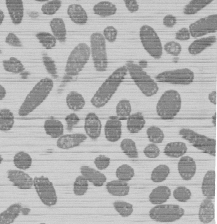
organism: E. coli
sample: Bacterial nucleoid